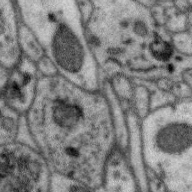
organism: Zebra finch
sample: Brain